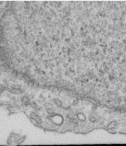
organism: Human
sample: Centriole in RPE cells